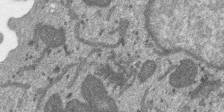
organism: Human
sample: Lung epithelial cells infected with SARS-CoV-2